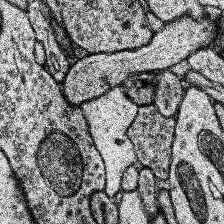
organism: Human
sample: Temporal Lobe